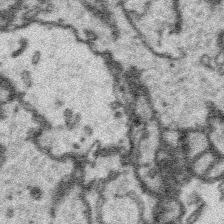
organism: Platynereis dumerilii